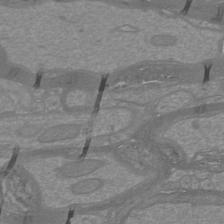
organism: Mouse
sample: Cortical neurons